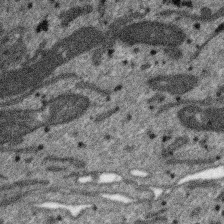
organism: Human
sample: Lung epithelial cells infected with SARS-CoV-2